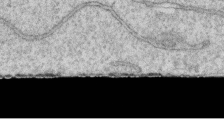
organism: Human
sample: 1205lu cells